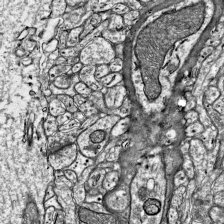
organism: Mouse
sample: Visual Cortex